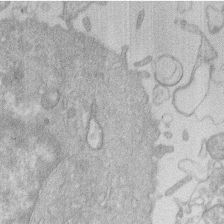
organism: Human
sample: Macrophage cells